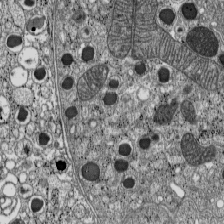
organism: C57BL Mouse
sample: Pancreatic islet